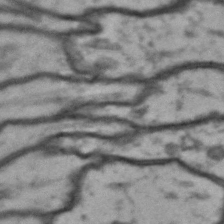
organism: Drosophila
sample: Brain